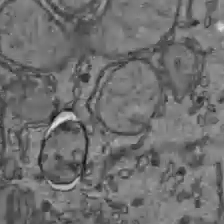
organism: C57BL Mouse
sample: Liver